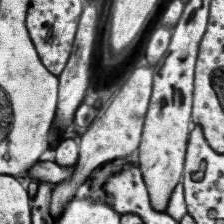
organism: Human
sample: Temporal Lobe